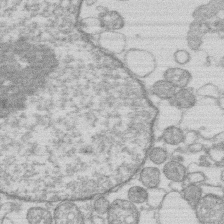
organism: Human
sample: Macrophage cells